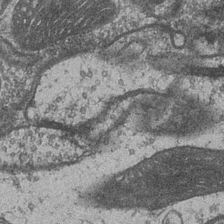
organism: Drosophila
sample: Optic medulla